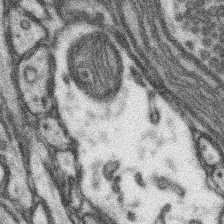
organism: Mouse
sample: Somatosensory cortex neuropil